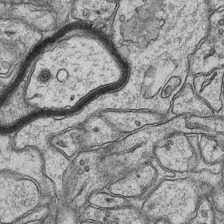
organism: Mouse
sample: CA1 Hippocampus